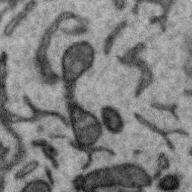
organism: Zebra finch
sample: Brain